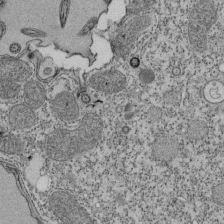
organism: Tetrahymena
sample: Cilia in tetrahymena